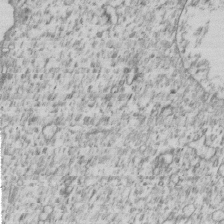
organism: Human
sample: MDA-MB-231 cells